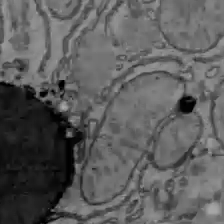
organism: C57BL Mouse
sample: Liver